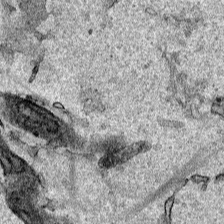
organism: Human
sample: Mitochondria in HCT116 cells